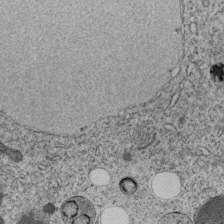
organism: C. elegans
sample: C. elegans embryo early stage